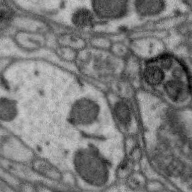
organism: Zebra finch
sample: Brain